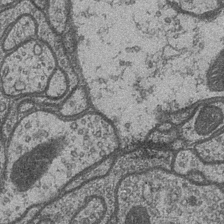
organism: Drosophila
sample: Optic medulla